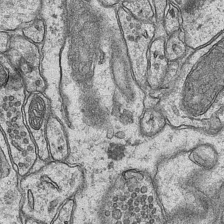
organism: Mouse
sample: CA1 Hippocampus